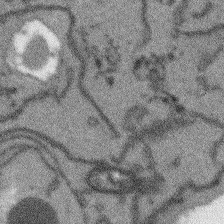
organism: Arabidopsis thaliana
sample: Root tip